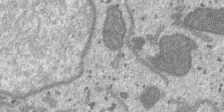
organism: Human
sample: Lung epithelial cells infected with SARS-CoV-2